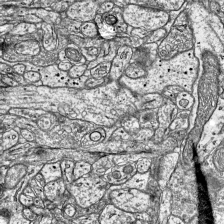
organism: Mouse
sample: Visual Cortex